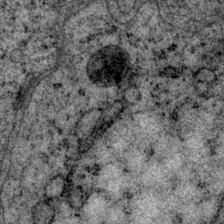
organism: P. pacificus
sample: Pharynx